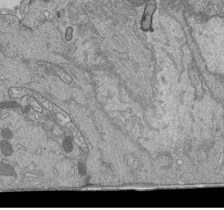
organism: Human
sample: Retinal organoid Rod and Cone cells